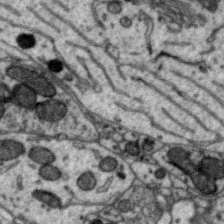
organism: Zebra finch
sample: Brain